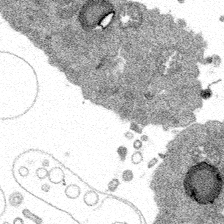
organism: Spongilla lacustris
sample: Multiple